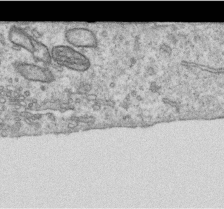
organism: Human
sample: Centriole in RPE cells